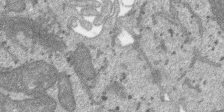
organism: Human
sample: Lung epithelial cells infected with SARS-CoV-2